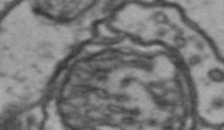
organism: Drosophila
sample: Brain